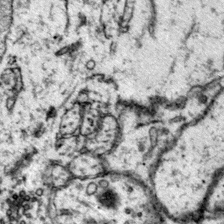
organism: Mouse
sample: Primary visual cortex